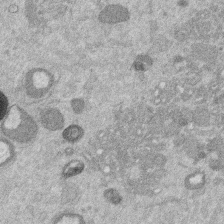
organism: Mouse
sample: Dividing mouse embryo 1 cell stage